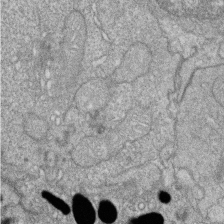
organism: Zebrafish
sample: Cilia; retinal pigment epithelium